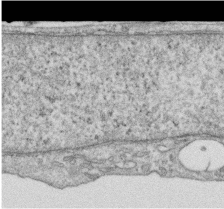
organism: Human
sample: Centriole in RPE cells